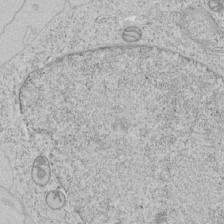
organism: Human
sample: Mitochondria in HCT116 cells